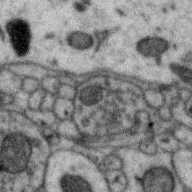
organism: Zebra finch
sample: Brain